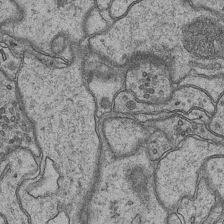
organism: Mouse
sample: CA1 Hippocampus